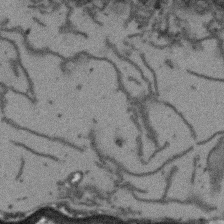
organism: Arabidopsis thaliana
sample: Root tip